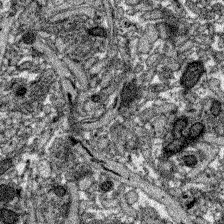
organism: Zebrafish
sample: Larval olfactory bulb